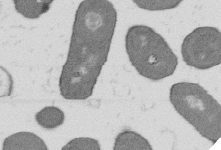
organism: B. subtilis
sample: Bacterial spore